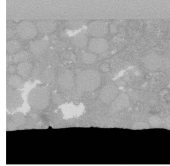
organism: C. elegans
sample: C. elegans oocyte; sperm cells